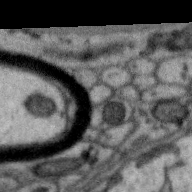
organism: Zebra finch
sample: Brain